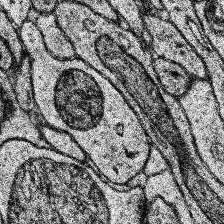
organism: Human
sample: Temporal Lobe